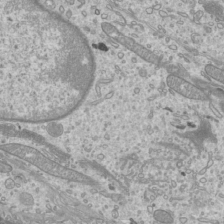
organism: Mouse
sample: Cilia; mouse epididymis